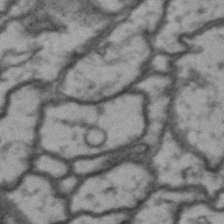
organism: Drosophila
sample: Brain